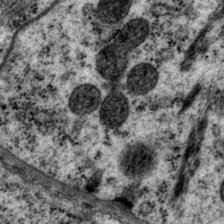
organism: P. pacificus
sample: Pharynx